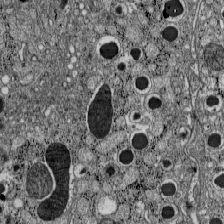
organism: C57BL Mouse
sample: Pancreatic islet